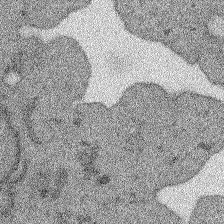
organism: Human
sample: HeLa cells